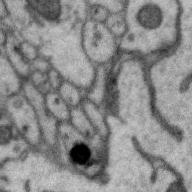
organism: Zebra finch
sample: Brain